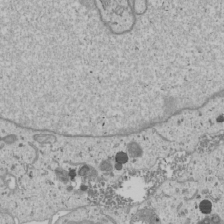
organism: Human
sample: Mitochondria in U2OS cells